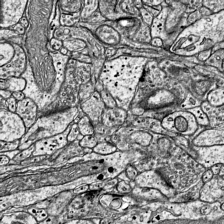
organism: Mouse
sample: Visual Cortex